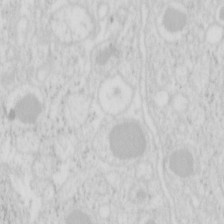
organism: Mouse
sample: Pancreas